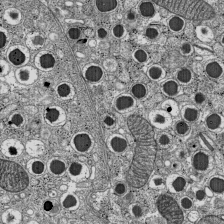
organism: C57BL Mouse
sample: Pancreatic islet